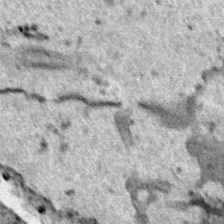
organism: Human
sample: Mitochondria in HCT116 cells